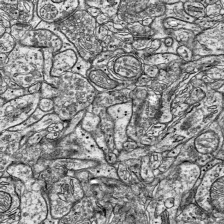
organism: Mouse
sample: Visual Cortex